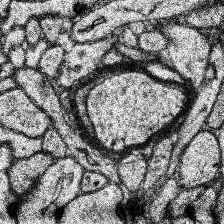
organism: Human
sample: Temporal Lobe